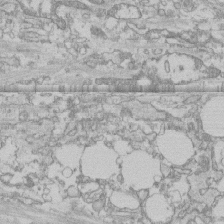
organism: Human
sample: CRL-1474